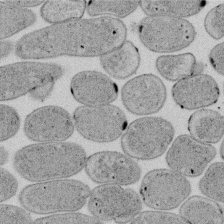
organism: E. coli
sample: Bacterial nucleoid